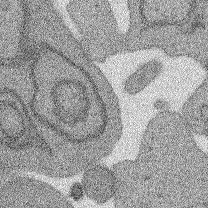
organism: Human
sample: HeLa cells